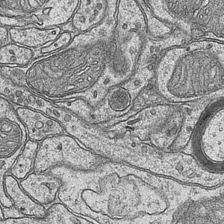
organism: Mouse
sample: CA1 Hippocampus